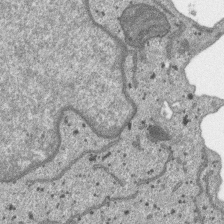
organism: Human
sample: Lung epithelial cells infected with SARS-CoV-2